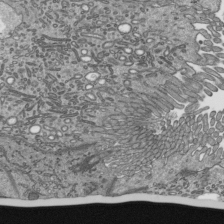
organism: Mouse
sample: Mouse epididymis efferent ductule cilia